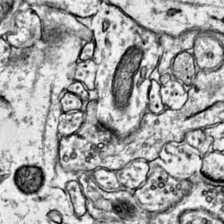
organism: Mouse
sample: Primary visual cortex